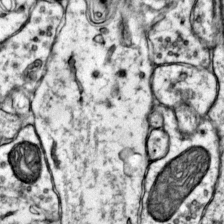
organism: Mouse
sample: Primary visual cortex